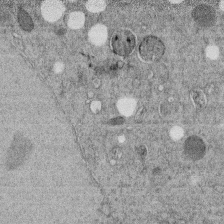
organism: C. elegans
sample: C. elegans embryo early stage